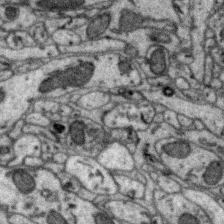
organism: Zebra finch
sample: Brain